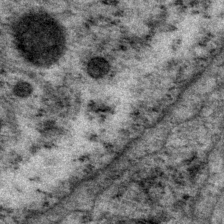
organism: P. pacificus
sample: Pharynx